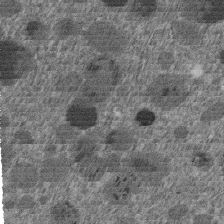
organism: C. elegans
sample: C. elegans embryo early stage